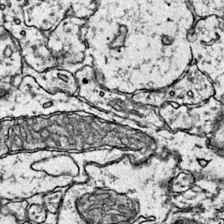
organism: Mouse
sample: Primary visual cortex